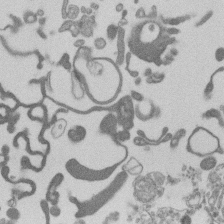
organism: Mouse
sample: Dividing mouse embryo 1 cell stage